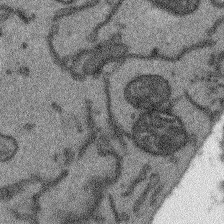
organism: Arabidopsis thaliana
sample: Root tip